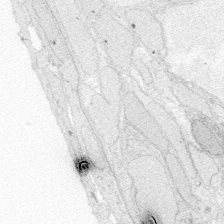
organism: Zebrafish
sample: Whole-Brain